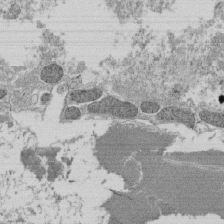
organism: Tetrahymena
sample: Cilia in tetrahymena